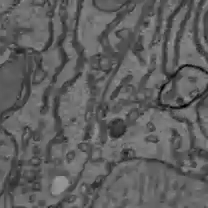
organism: C57BL Mouse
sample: Liver